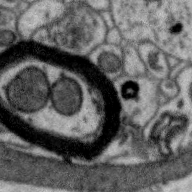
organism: Zebra finch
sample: Brain